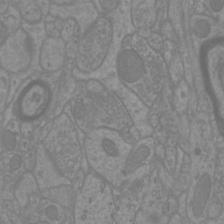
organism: Mouse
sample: Cortical neurons